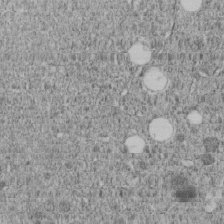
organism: C. elegans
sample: C. elegans embryo early stage